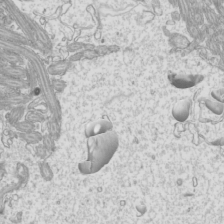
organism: Mouse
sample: Cilia; mouse epididymis